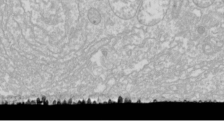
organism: Drosophila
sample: Cell division; meiosis; drosophila spermatocytes